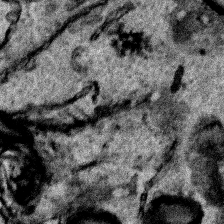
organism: Human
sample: Mitochondria in HCT116 cells